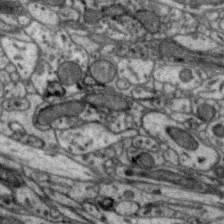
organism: Zebra finch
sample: Brain